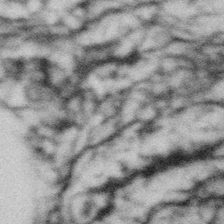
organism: Gemmata obscuriglobus